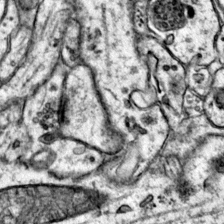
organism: Mouse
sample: Primary visual cortex